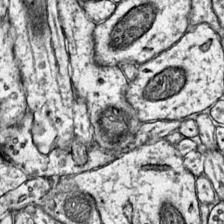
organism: Mouse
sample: Primary visual cortex